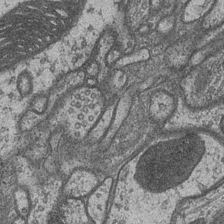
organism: Drosophila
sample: Optic medulla